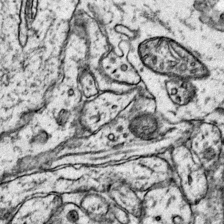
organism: Mouse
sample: Primary visual cortex